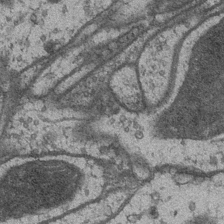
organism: Drosophila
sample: Optic medulla